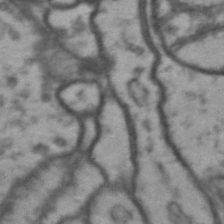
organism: Drosophila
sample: Brain